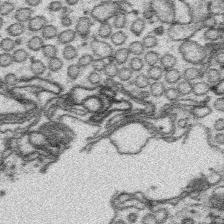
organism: Platynereis dumerilii